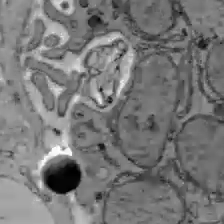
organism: C57BL Mouse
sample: Liver